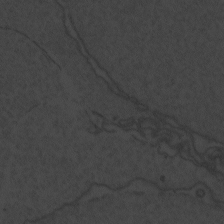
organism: Zebrafish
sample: Macrophage infected with Toxoplasma gondii